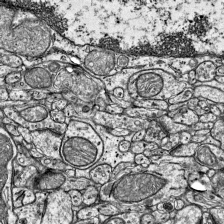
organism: Mouse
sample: Visual Cortex